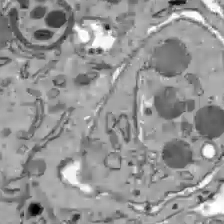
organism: C57BL Mouse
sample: Liver